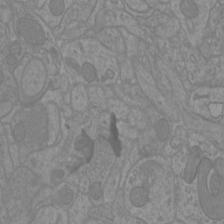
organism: Mouse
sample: Cortical neurons